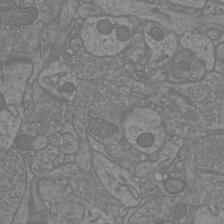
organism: Mouse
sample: Cortical neurons